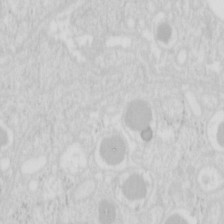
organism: Mouse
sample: Pancreas